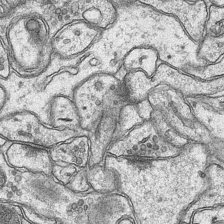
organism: Mouse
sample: CA1 Hippocampus